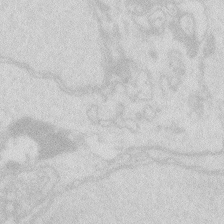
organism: Zebrafish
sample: Macrophage